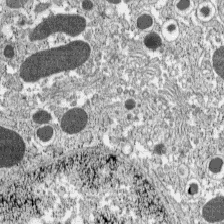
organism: C57BL Mouse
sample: Pancreatic islet